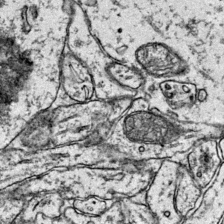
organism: Mouse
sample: Primary visual cortex